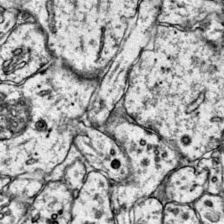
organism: Mouse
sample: Primary visual cortex